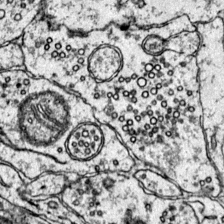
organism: Mouse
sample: Primary visual cortex